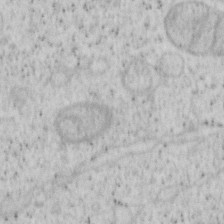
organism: Human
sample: HeLa cells